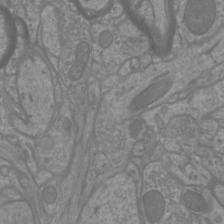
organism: Mouse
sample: Cortical neurons